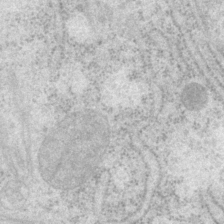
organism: P. pacificus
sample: Pharynx